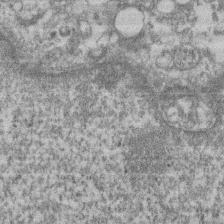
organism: Mouse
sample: T cell stromal cell synapse